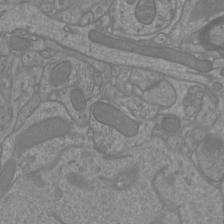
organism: Mouse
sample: Cortical neurons